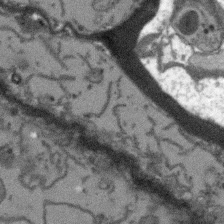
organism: Arabidopsis thaliana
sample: Root tip